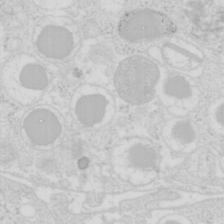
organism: Mouse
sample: Pancreas